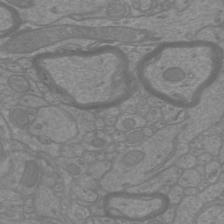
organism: Mouse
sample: Cortical neurons